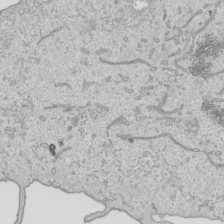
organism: Human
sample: Mitochondria in HCT116 cells